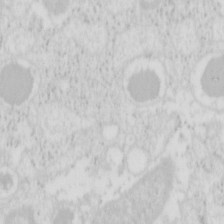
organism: Mouse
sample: Pancreas